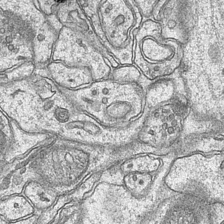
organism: Mouse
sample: CA1 Hippocampus